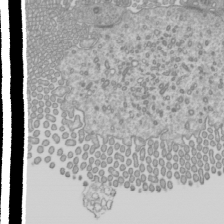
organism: Mouse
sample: Cilia; mouse epididymis